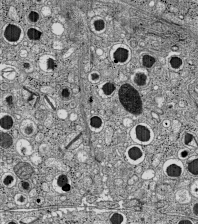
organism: C57BL Mouse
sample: Pancreatic islet